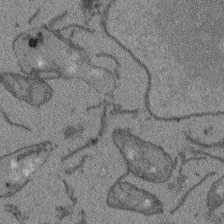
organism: Arabidopsis thaliana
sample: Root tip